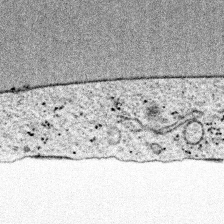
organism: Human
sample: HeLa cells